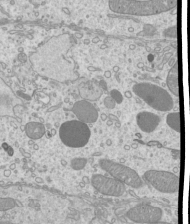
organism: Mouse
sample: Cilia; mouse epididymis